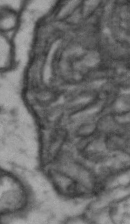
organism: Drosophila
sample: Brain